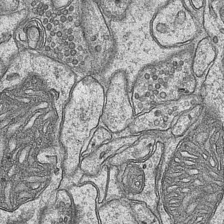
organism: Mouse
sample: CA1 Hippocampus